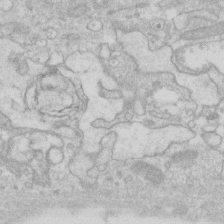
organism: Human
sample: Fibroblast cells